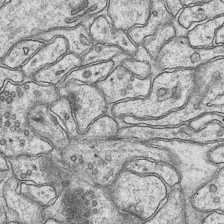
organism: Mouse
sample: CA1 Hippocampus